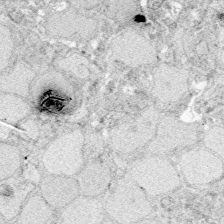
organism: Zebrafish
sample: Whole-Brain